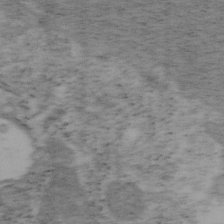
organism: Mouse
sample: OT-I killer T cells with ID8 ovarian cancer cells